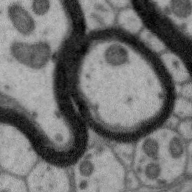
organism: Zebra finch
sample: Brain